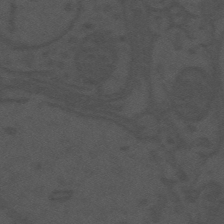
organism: Mouse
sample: Suprachiasmatic nucleus